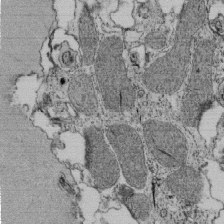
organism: Tetrahymena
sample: Cilia in tetrahymena